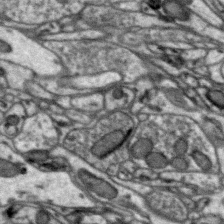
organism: Zebra finch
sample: Brain